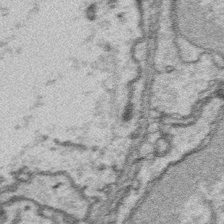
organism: Platynereis dumerilii